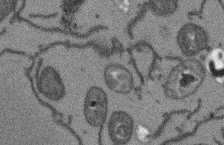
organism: Arabidopsis thaliana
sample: Root tip